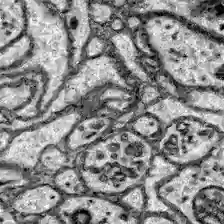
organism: Zebrafish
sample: Brain